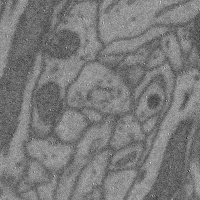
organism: Mouse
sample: Cerebral cortex